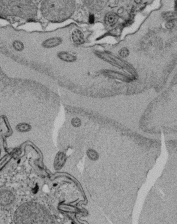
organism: Tetrahymena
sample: Cilia in tetrahymena